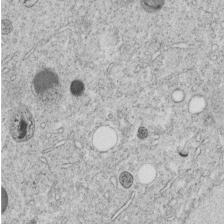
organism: C. elegans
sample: C. elegans embryo early stage